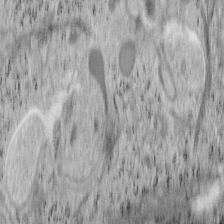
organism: Human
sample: HeLa cells